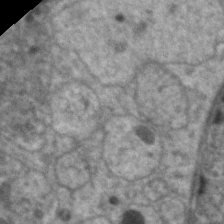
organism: C. elegans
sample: Pharynx